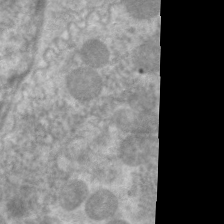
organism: C. elegans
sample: Pharynx